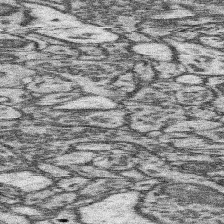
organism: Mouse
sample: Somatosensory cortex neuropil